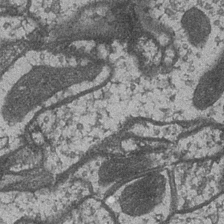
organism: Drosophila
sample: Optic medulla